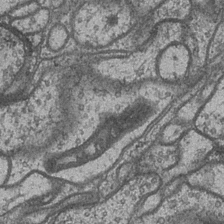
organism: Drosophila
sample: Optic medulla